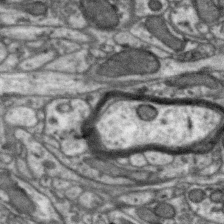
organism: Zebra finch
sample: Brain